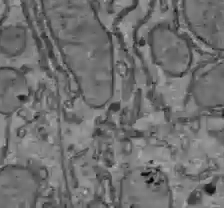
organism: C57BL Mouse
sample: Liver